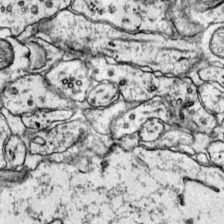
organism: Mouse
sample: Primary visual cortex